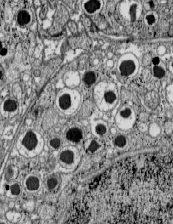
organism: C57BL Mouse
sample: Pancreatic islet